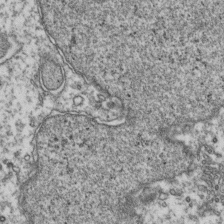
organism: Human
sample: Activated Jurkat CD4+ T cells